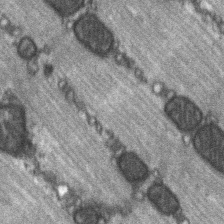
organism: C57BL Mouse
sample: Soleus